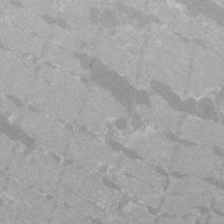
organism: C57BL Mouse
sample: Tibialis anterior muscle cell